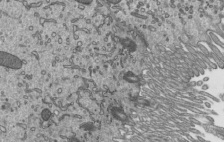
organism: Mouse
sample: Mouse epididymis efferent ductule cilia